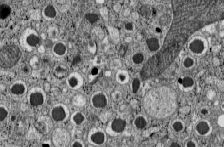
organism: C57BL Mouse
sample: Pancreatic islet